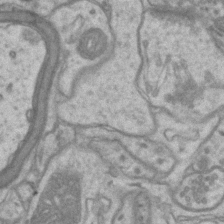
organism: Mouse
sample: CA1 Hippocampus